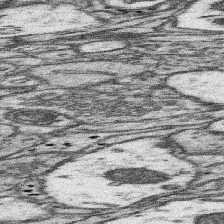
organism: Mouse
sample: Somatosensory cortex neuropil